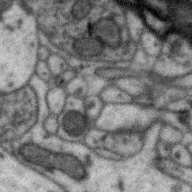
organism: Zebra finch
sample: Brain